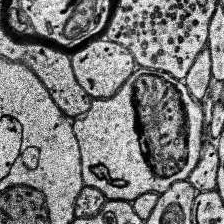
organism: Human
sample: Temporal Lobe